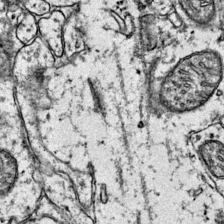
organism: Mouse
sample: Primary visual cortex